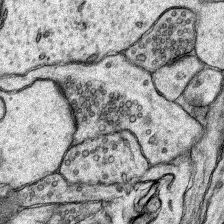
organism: Rat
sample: Hippocampus